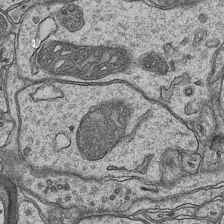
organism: Mouse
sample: CA1 Hippocampus